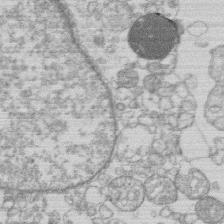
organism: Human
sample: Macrophage cells